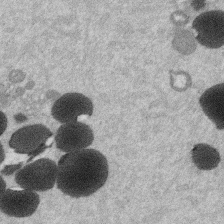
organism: Mouse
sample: Dividing mouse embryo 1 cell stage